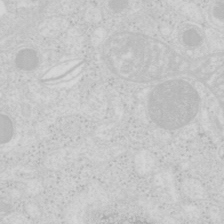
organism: Mouse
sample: Pancreas